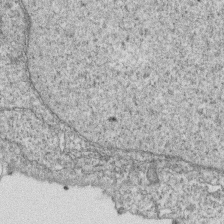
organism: Human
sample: HeLa cell HIV synapse